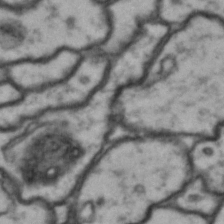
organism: Drosophila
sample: Brain